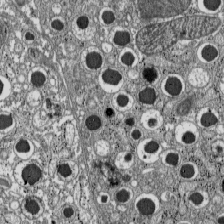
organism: C57BL Mouse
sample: Pancreatic islet